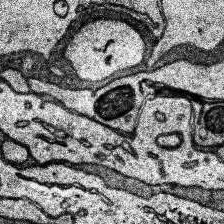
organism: Human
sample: Temporal Lobe